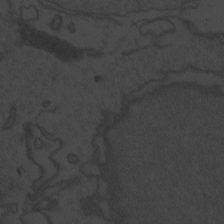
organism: Zebrafish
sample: Macrophage infected with Toxoplasma gondii